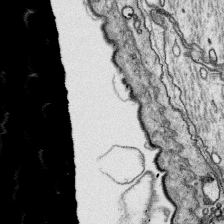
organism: Platynereis dumerilii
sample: Parapodia